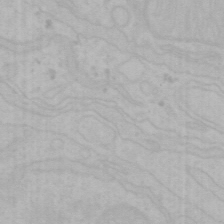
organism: Mouse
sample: Choroid plexus